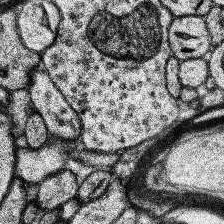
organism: Human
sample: Temporal Lobe